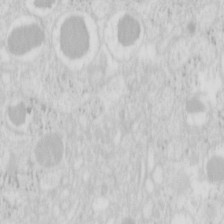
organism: Mouse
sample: Pancreas